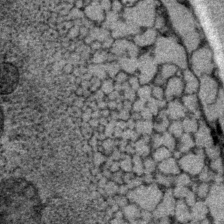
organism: P. pacificus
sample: Pharynx